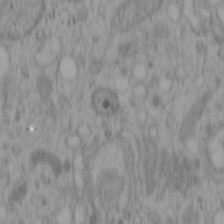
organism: Mouse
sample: OT-I killer T cells with ID8 ovarian cancer cells